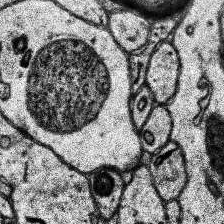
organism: Human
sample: Temporal Lobe